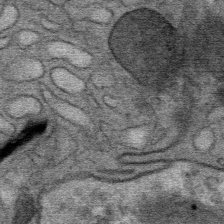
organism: Mouse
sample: Mouse Salivary gland